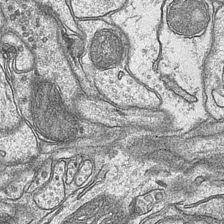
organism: Mouse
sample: CA1 Hippocampus